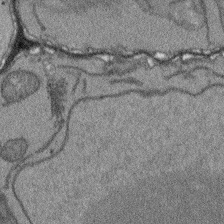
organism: Arabidopsis thaliana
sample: Root tip